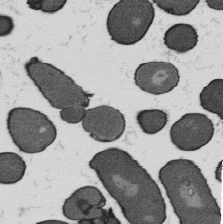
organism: B. subtilis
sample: Bacterial spore